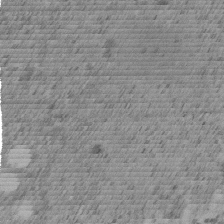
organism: C. elegans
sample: C. elegans embryo early stage